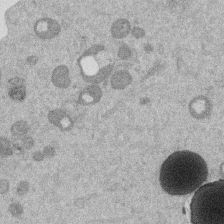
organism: Mouse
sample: Dividing mouse embryo 1 cell stage